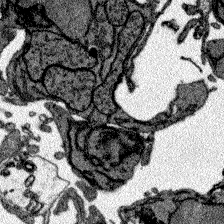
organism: Zebrafish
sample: Larval olfactory bulb